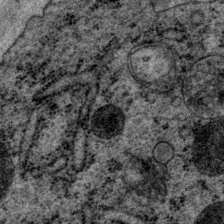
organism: P. pacificus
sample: Pharynx